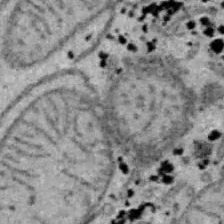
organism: Mouse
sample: Liver from an obese (ob/ob) mouse